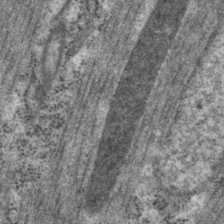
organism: P. pacificus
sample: Pharynx